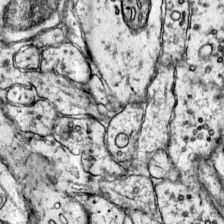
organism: Mouse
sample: Primary visual cortex